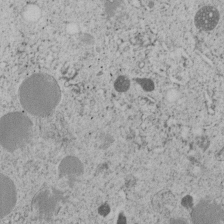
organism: C. elegans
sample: C. elegans embryo early stage